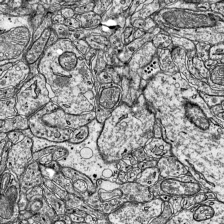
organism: Mouse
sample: Visual Cortex